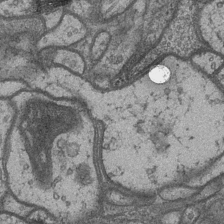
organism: Drosophila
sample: Optic medulla